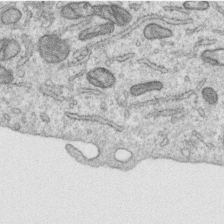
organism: Human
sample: Centriole in RPE cells